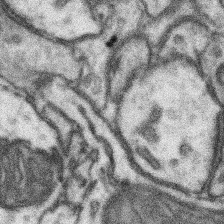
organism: Mouse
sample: Somatosensory cortex neuropil